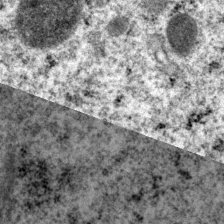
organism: P. pacificus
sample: Pharynx